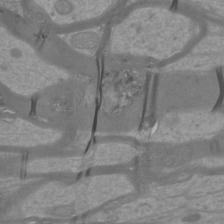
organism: Mouse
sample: Cortical neurons